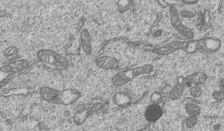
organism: Human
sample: MDA-MB-231 cells